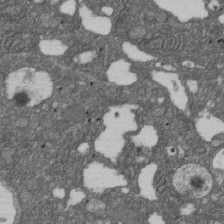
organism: Drosophila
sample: Nephrocyte